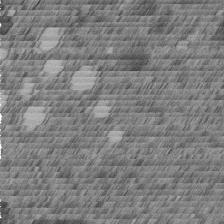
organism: C. elegans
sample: C. elegans embryo early stage